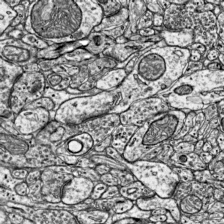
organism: Mouse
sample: Visual Cortex